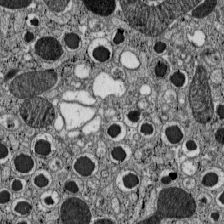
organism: C57BL Mouse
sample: Pancreatic islet